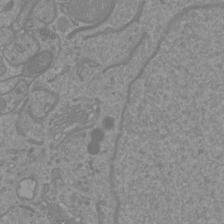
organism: Mouse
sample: Cortical neurons